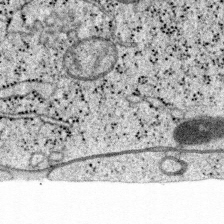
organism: Human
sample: HeLa cells